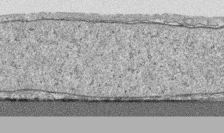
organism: Human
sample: CRL-1474